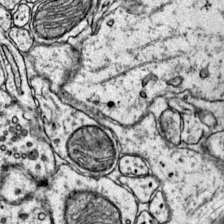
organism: Mouse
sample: Primary visual cortex